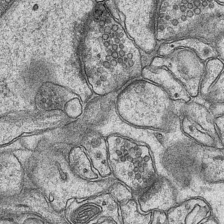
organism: Mouse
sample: CA1 Hippocampus